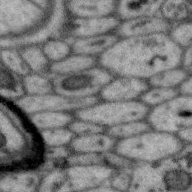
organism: Zebra finch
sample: Brain